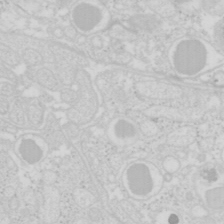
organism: Mouse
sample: Pancreas